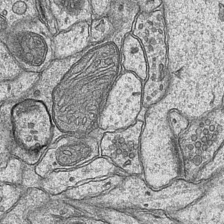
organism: Mouse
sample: CA1 Hippocampus